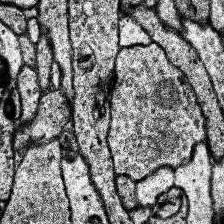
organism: Human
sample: Temporal Lobe